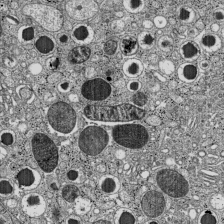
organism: C57BL Mouse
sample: Pancreatic islet